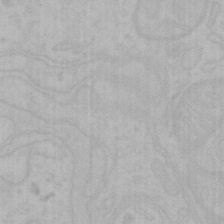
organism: Mouse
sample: Choroid plexus